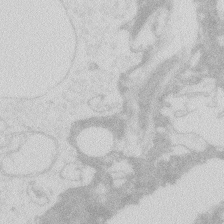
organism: Zebrafish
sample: Macrophage